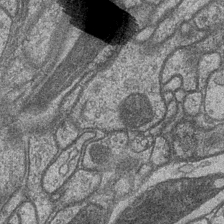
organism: Drosophila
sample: Optic medulla